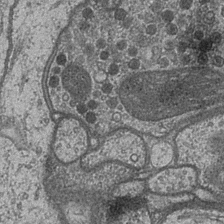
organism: Drosophila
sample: Optic medulla